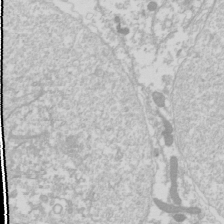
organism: Drosophila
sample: Cell division; meiosis; drosophila spermatocytes